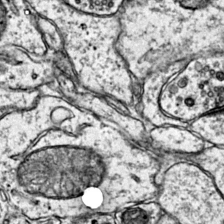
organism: Mouse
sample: Primary visual cortex